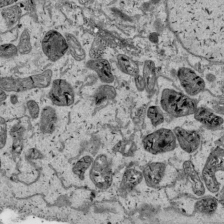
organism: Human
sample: Mitochondria in HCT116 cells